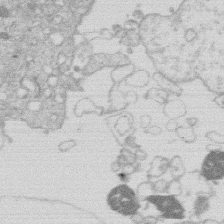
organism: Human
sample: Macrophage cells